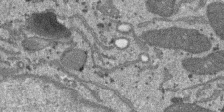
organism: Human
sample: Lung epithelial cells infected with SARS-CoV-2